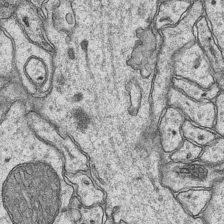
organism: Mouse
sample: CA1 Hippocampus